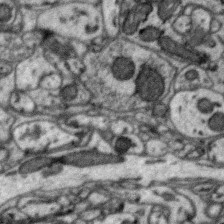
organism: Zebra finch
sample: Brain